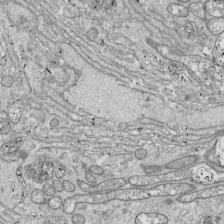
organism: Drosophila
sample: Cell division; meiosis; drosophila spermatocytes